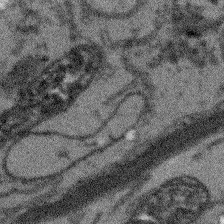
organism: Arabidopsis thaliana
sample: Root tip